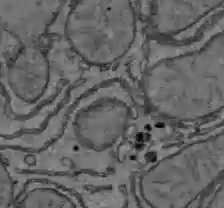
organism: C57BL Mouse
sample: Liver